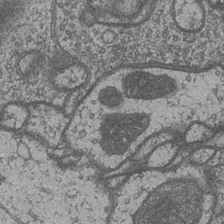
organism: Drosophila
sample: Optic medulla